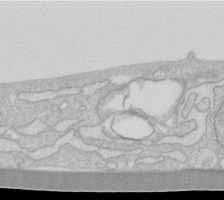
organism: Human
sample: Fibroblast cells